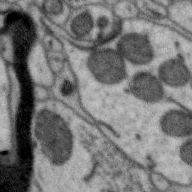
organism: Zebra finch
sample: Brain